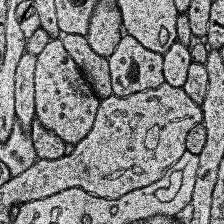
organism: Human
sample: Temporal Lobe